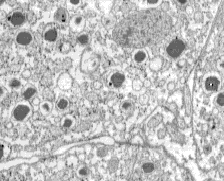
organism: C57BL Mouse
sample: Pancreatic islet